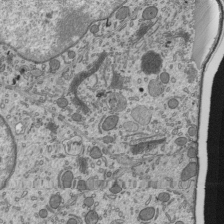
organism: Mouse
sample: Mouse epididymis efferent ductule cilia